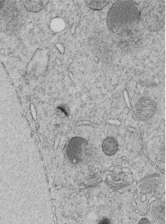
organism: C. elegans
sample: C. elegans embryo early stage